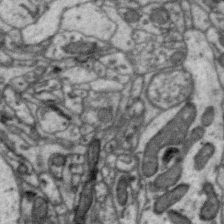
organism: Zebra finch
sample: Brain